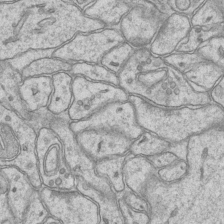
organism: Mouse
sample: CA1 Hippocampus